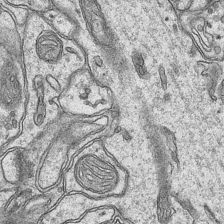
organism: Mouse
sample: CA1 Hippocampus